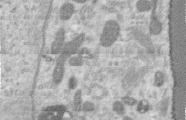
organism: Human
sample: Centriole in RPE cells